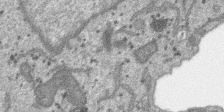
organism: Human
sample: Lung epithelial cells infected with SARS-CoV-2